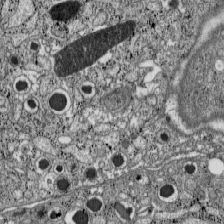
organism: C57BL Mouse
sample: Pancreatic islet